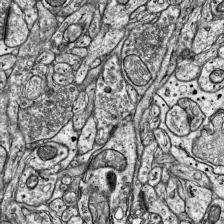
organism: Mouse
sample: Visual Cortex